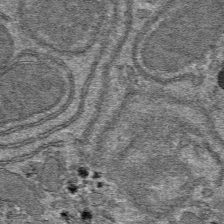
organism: Mouse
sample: Mouse hepatocytes